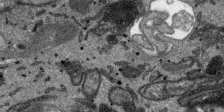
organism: Human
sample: Lung epithelial cells, uninfected (mock) control